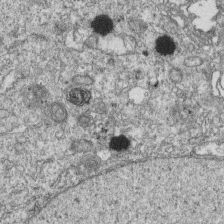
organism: Human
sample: HeLa cell HIV synapse